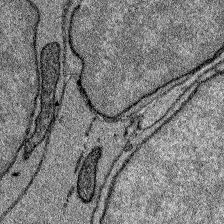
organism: Zebrafish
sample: Larval olfactory bulb